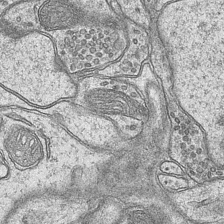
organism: Mouse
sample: CA1 Hippocampus